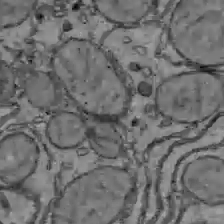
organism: C57BL Mouse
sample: Liver